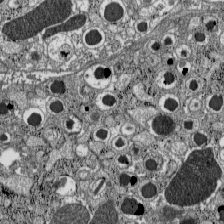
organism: C57BL Mouse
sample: Pancreatic islet